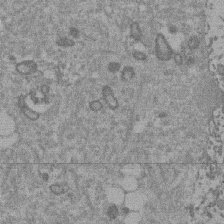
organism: Mouse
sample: Dividing mouse embryo 1 cell stage